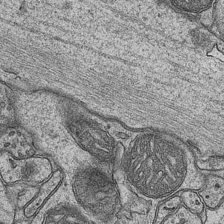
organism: Mouse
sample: CA1 Hippocampus